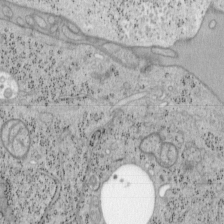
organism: Mouse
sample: OT-I killer T cells with ID8 ovarian cancer cells